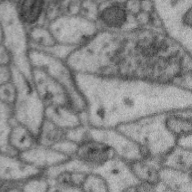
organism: Zebra finch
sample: Brain